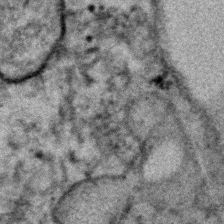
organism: Human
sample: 1205lu cells